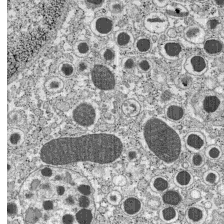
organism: C57BL Mouse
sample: Pancreatic islet